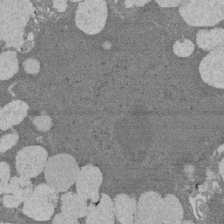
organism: Rat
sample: Salivary granule